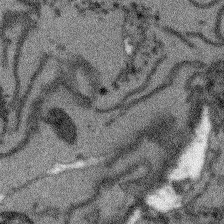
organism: Arabidopsis thaliana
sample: Root tip